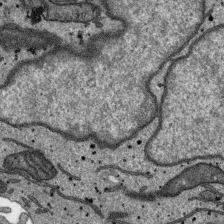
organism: Human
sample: Lung epithelial cells, uninfected (mock) control